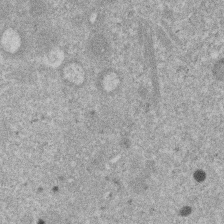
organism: Mouse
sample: Dividing mouse embryo 1 cell stage